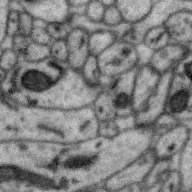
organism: Zebra finch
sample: Brain